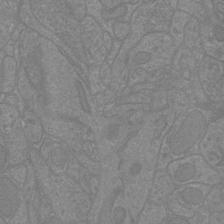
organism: Mouse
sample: Cortical neurons